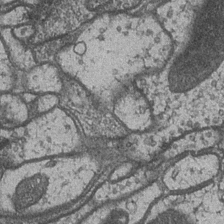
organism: Drosophila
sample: Optic medulla